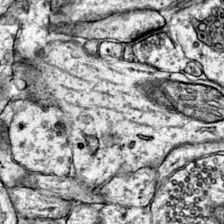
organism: Mouse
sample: Primary visual cortex